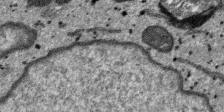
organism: Human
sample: Lung epithelial cells, uninfected (mock) control